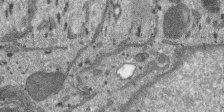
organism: Human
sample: Lung epithelial cells infected with SARS-CoV-2